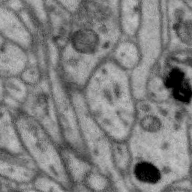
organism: Zebra finch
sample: Brain